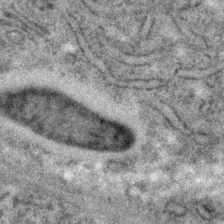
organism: C. elegans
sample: C. elegans embryo